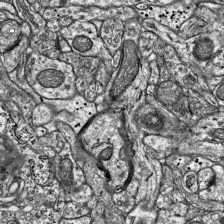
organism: Mouse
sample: Visual Cortex